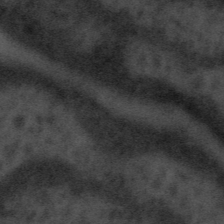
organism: Tuwongella immobilis